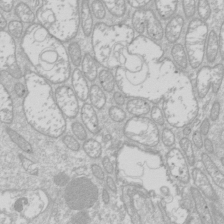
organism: Drosophila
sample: Cell division; meiosis; drosophila spermatocytes